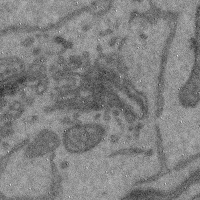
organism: Mouse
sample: Cerebral cortex